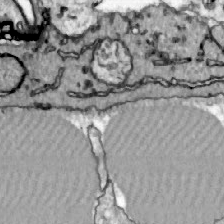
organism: Zebrafish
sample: Actinotrichia fibers